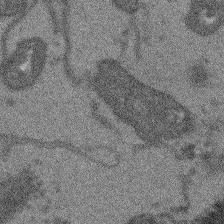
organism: Arabidopsis thaliana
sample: Root tip